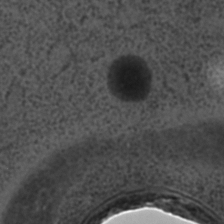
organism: C. elegans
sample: C. elegans embryo